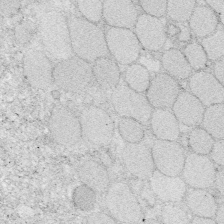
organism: Zebrafish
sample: Whole-Brain